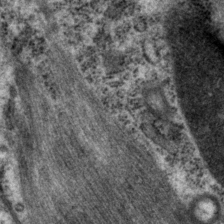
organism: P. pacificus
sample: Pharynx